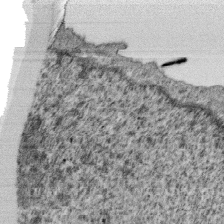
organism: African green monkey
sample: Vero E6 cells infected with SARS-CoV-2